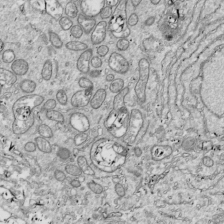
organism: Drosophila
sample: Cell division; meiosis; drosophila spermatocytes